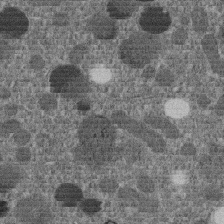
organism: C. elegans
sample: C. elegans embryo early stage